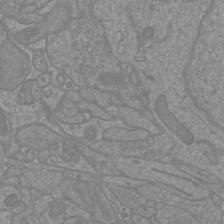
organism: Mouse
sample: Cortical neurons